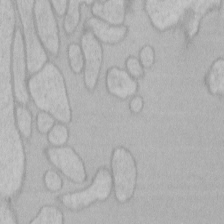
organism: Human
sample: HeLa cells